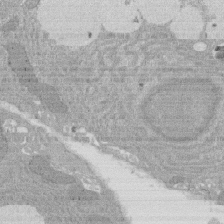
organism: Rat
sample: Salivary granule